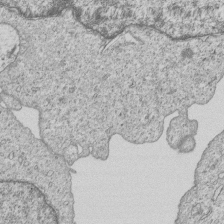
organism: Human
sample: MDA-MB-231 cells